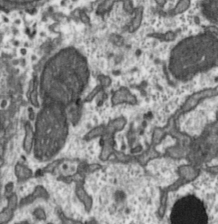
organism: Toxoplasma gondii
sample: Parasites in a vacuole inside a host cell